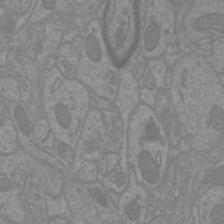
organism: Mouse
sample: Cortical neurons